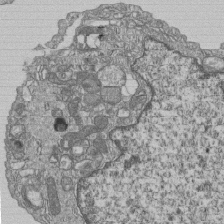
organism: Human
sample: MDA-MB-231 cells